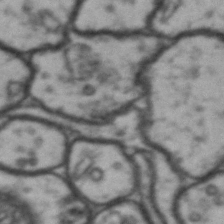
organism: Drosophila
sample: Brain